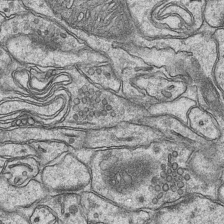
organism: Mouse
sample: CA1 Hippocampus